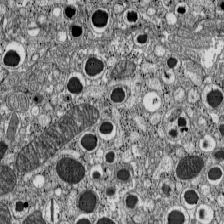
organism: C57BL Mouse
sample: Pancreatic islet